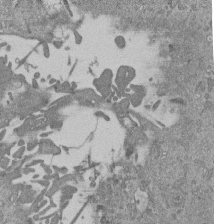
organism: Mouse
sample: ED-1 cell nuclei; centrioles